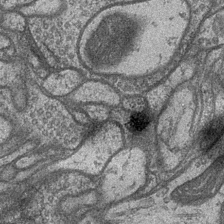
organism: Drosophila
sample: Optic medulla